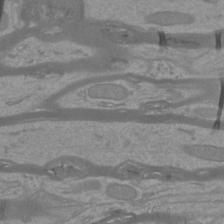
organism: Mouse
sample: Cortical neurons